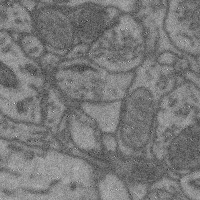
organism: Mouse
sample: Cerebral cortex